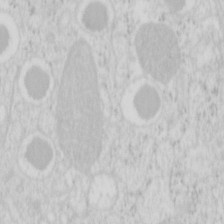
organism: Mouse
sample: Pancreas